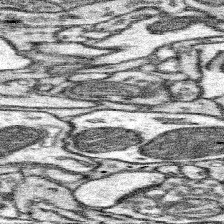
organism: Mouse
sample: Somatosensory cortex neuropil